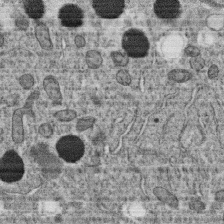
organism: C. elegans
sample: C. elegans oocyte; sperm cells